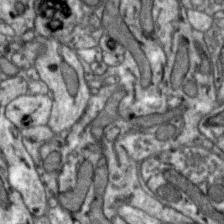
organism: Zebra finch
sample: Brain